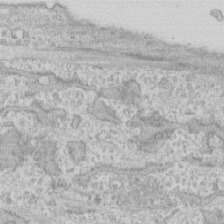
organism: Human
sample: CRL-1474